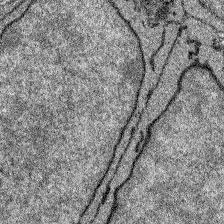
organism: Zebrafish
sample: Larval olfactory bulb